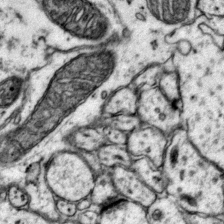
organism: Mouse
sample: Primary visual cortex